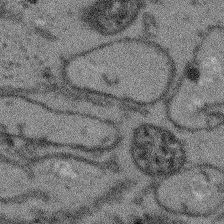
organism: Arabidopsis thaliana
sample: Root tip